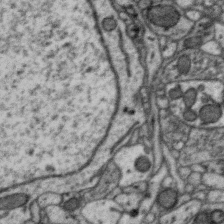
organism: Zebra finch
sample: Brain